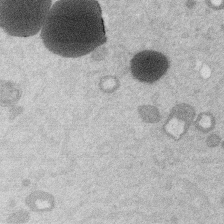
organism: Mouse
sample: Dividing mouse embryo 1 cell stage